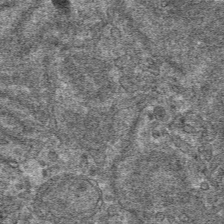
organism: Mouse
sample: Mouse hepatocytes